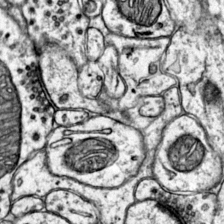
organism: Mouse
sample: Primary visual cortex